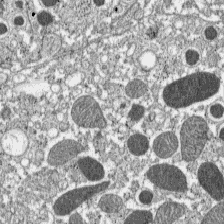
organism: C57BL Mouse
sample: Pancreatic islet